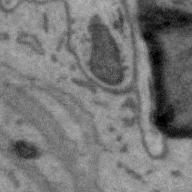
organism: Zebra finch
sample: Brain